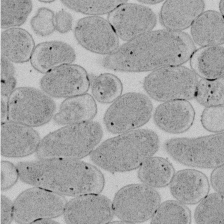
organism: E. coli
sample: Bacterial nucleoid